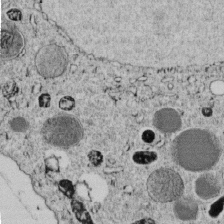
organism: C. elegans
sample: C. elegans embryo early stage